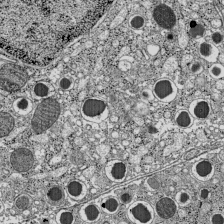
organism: C57BL Mouse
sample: Pancreatic islet